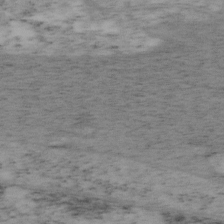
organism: Mouse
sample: OT-I killer T cells with ID8 ovarian cancer cells